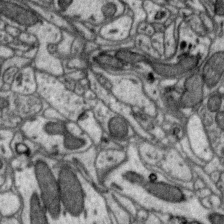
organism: Zebra finch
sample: Brain